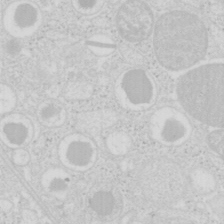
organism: Mouse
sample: Pancreas